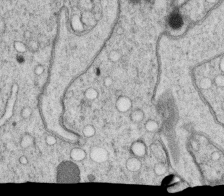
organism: C. elegans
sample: C. elegans oocyte; sperm cells